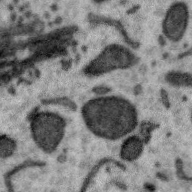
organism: Zebra finch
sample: Brain